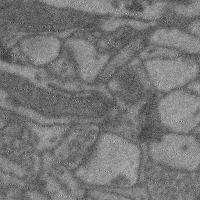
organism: Mouse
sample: Cerebral cortex